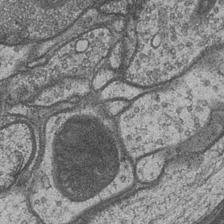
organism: Drosophila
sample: Optic medulla